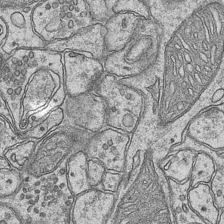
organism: Mouse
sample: CA1 Hippocampus